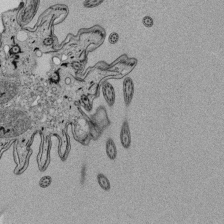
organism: Tetrahymena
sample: Cilia in tetrahymena